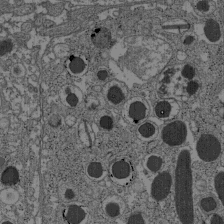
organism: C57BL Mouse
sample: Pancreatic islet